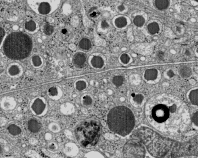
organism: C57BL Mouse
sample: Pancreatic islet